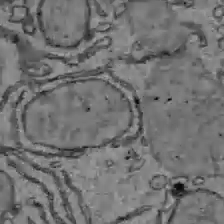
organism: C57BL Mouse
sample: Liver